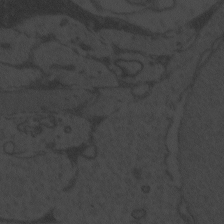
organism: Zebrafish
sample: Macrophage infected with Toxoplasma gondii